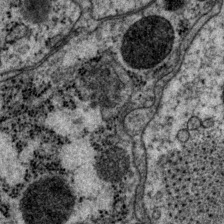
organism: P. pacificus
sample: Pharynx